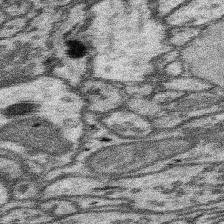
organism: Mouse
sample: Somatosensory cortex neuropil